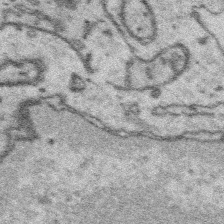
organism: Platynereis dumerilii